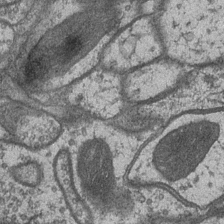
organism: Drosophila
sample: Optic medulla